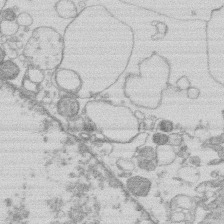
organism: Human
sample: Macrophage cells